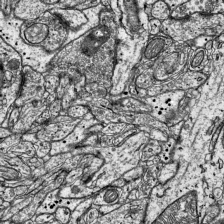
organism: Mouse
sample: Visual Cortex